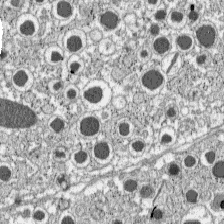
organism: C57BL Mouse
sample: Pancreatic islet